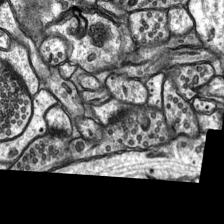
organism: Rat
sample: Hippocampus